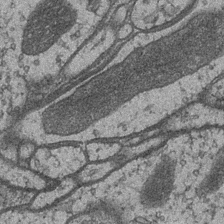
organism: Drosophila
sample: Optic medulla